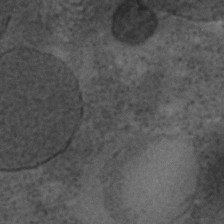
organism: C. elegans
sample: C. elegans embryo